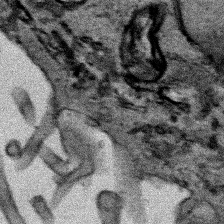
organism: Human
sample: Mitochondria in HCT116 cells